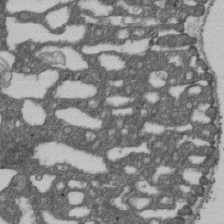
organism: Drosophila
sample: Nephrocyte